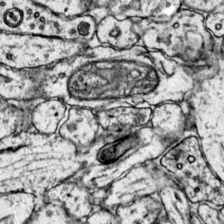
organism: Mouse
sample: Primary visual cortex